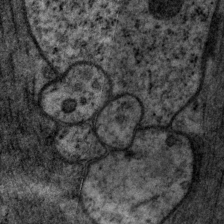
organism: P. pacificus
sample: Pharynx